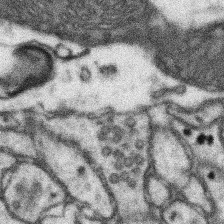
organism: Mouse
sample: Somatosensory cortex neuropil